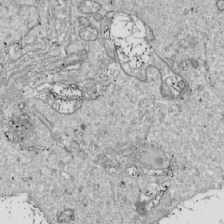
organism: Drosophila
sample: Cell division; meiosis; drosophila spermatocytes